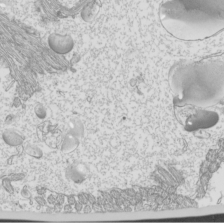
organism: Mouse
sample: Cilia; mouse epididymis